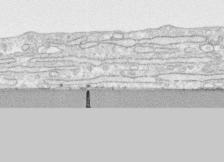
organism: Human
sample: CRL-1474